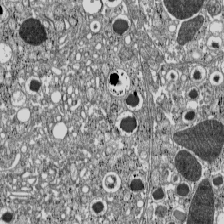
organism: C57BL Mouse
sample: Pancreatic islet